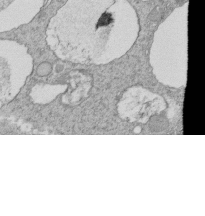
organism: Tetrahymena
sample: Cilia in tetrahymena